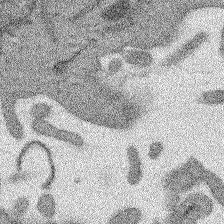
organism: Human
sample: HeLa cells